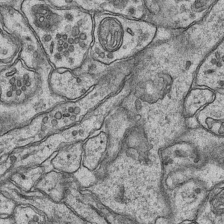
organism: Mouse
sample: CA1 Hippocampus